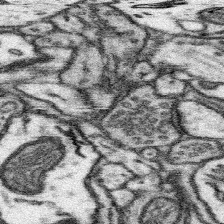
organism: Mouse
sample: Somatosensory cortex neuropil